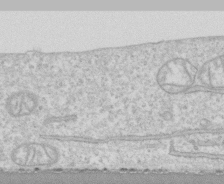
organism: Human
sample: CRL-1474